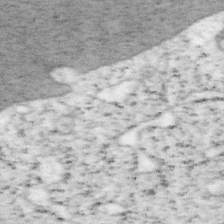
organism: Mouse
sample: OT-I killer T cells with ID8 ovarian cancer cells